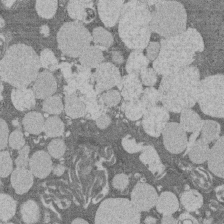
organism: Rat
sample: Salivary granule